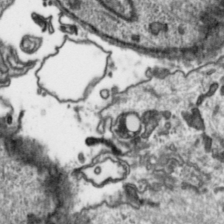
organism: Toxoplasma gondii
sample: Parasites in a vacuole inside a host cell